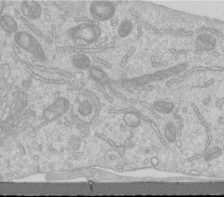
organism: Human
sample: Centriole in RPE cells